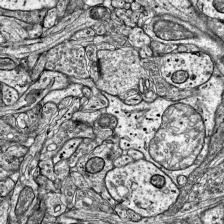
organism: Mouse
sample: Visual Cortex